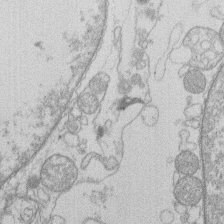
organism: Human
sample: Macrophage cells